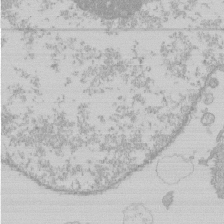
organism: Human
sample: Macrophage cells